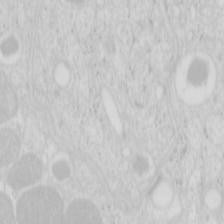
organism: Mouse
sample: Pancreas